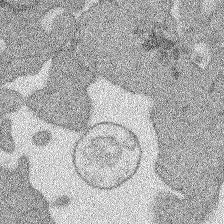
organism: Human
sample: HeLa cells